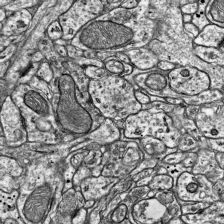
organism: Mouse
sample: Visual Cortex